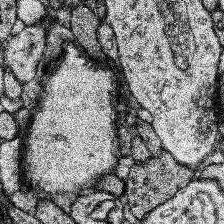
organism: Human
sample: Temporal Lobe